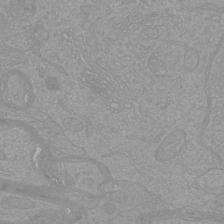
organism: Mouse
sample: Cortical neurons